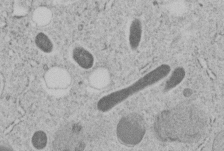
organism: C. elegans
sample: C. elegans embryo early stage